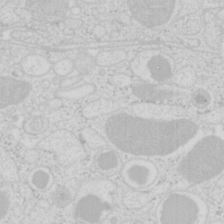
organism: Mouse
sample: Pancreas